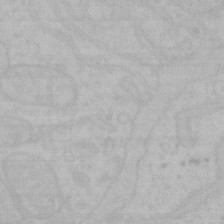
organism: Mouse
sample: Choroid plexus